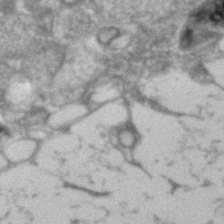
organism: Human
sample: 1205lu cells